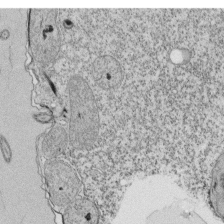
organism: Tetrahymena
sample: Cilia in tetrahymena